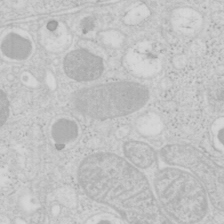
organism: Mouse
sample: Pancreas